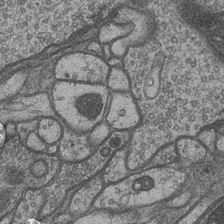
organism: Drosophila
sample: Optic medulla